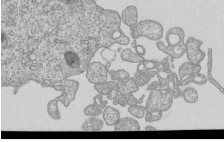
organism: Human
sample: MDA-MB-231 cells